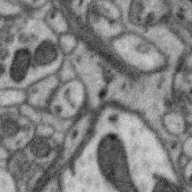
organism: Zebra finch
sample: Brain